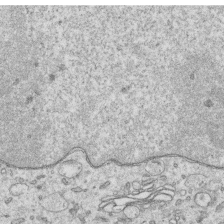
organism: Human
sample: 1205lu cells